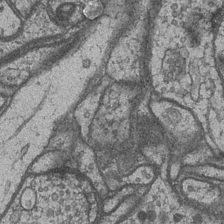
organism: Drosophila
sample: Optic medulla